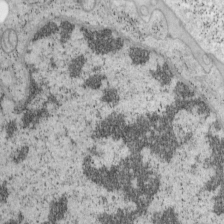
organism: Mouse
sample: OT-I killer T cells with ID8 ovarian cancer cells